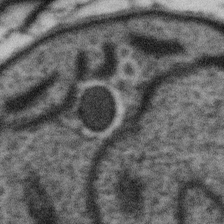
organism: Gemmata obscuriglobus